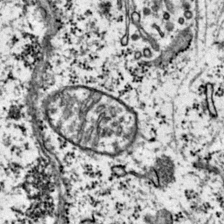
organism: Mouse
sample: Primary visual cortex